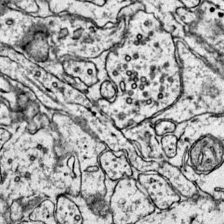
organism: Mouse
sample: Primary visual cortex